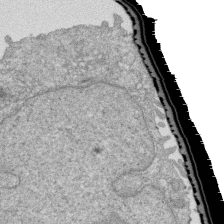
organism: Human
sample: HeLa cell HIV synapse